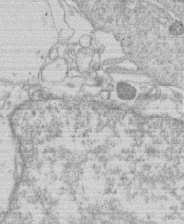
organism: Human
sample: Macrophage cells